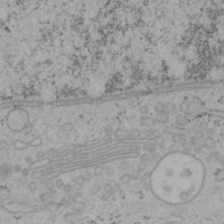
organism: Human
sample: HeLa cells